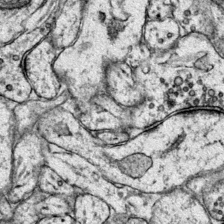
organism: Mouse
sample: Primary visual cortex